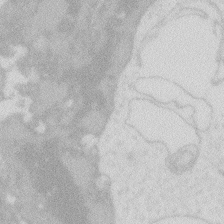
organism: Zebrafish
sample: Macrophage